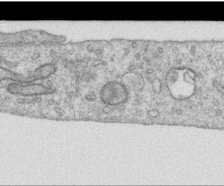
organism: Human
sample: Centriole in RPE cells